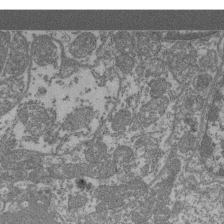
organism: Mouse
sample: Glomerulus